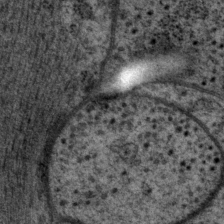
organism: P. pacificus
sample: Pharynx